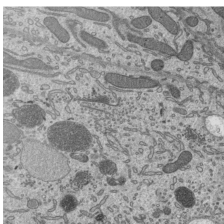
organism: Mouse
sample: Mouse epididymis efferent ductule cilia